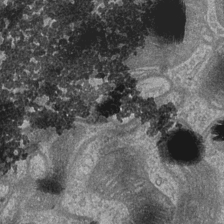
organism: Drosophila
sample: Optic medulla